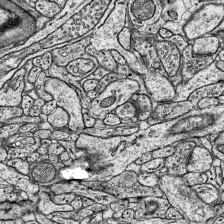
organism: Mouse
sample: Visual Cortex